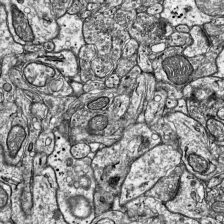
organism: Mouse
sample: Visual Cortex